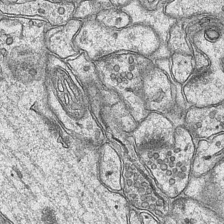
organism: Mouse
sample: CA1 Hippocampus